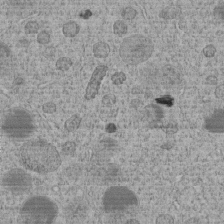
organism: C. elegans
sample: C. elegans embryo early stage